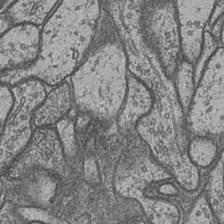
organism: Drosophila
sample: Optic medulla